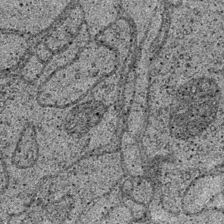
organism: Drosophila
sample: Optic medulla